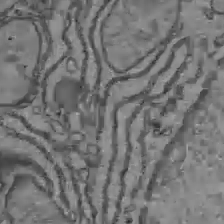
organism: C57BL Mouse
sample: Liver